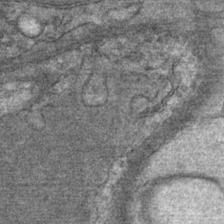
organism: Mouse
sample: Mouse Salivary gland